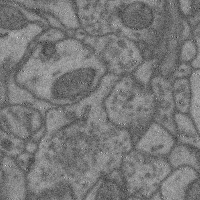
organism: Mouse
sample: Cerebral cortex